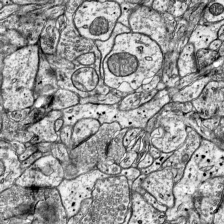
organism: Mouse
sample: Visual Cortex